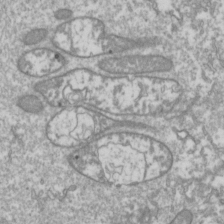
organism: Drosophila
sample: Cell division; meiosis; drosophila spermatocytes